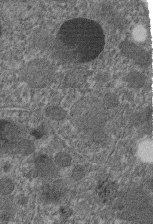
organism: C. elegans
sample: C. elegans embryo early stage